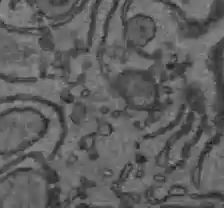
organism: C57BL Mouse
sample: Liver